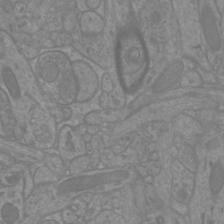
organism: Mouse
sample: Cortical neurons